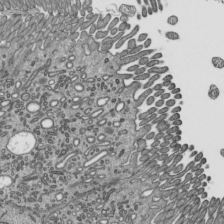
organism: Mouse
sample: Mouse epididymis efferent ductule cilia